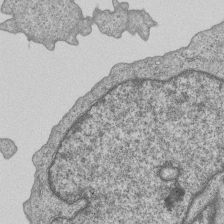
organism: Human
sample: MDA-MB-231 cells